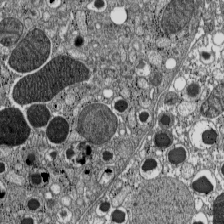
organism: C57BL Mouse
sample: Pancreatic islet